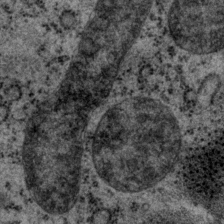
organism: P. pacificus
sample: Pharynx